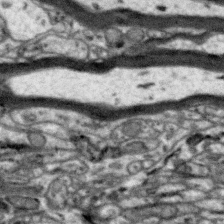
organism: Zebra finch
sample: Brain